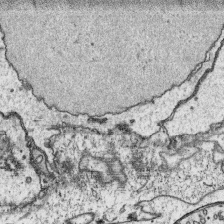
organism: Platynereis dumerilii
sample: Parapodia